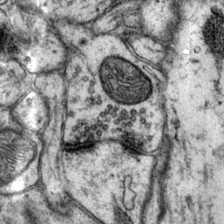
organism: Mouse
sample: Primary visual cortex